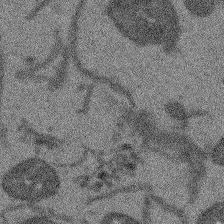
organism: Arabidopsis thaliana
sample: Root tip